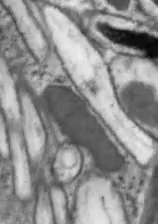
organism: Drosophila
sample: Optic lobe